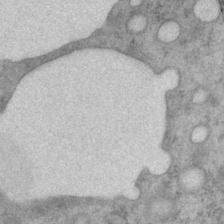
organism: P. pacificus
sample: Pharynx